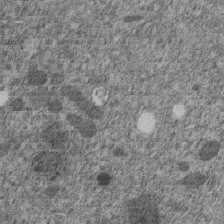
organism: C. elegans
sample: C. elegans embryo early stage